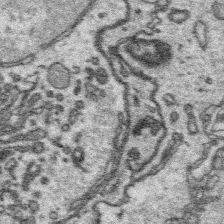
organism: Platynereis dumerilii